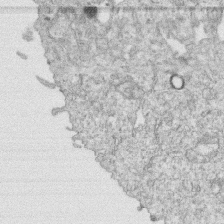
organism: Human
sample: HeLa cell HIV synapse